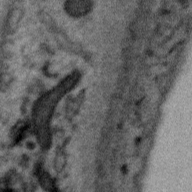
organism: Zebra finch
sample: Brain